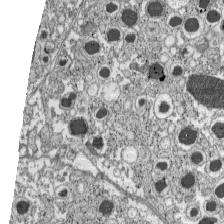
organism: C57BL Mouse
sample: Pancreatic islet